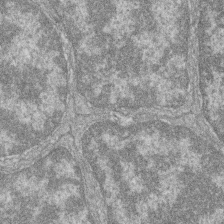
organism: Zebrafish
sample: Cilia; retinal pigment epithelium